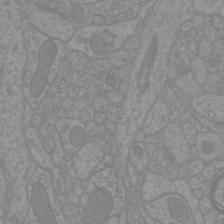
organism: Mouse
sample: Cortical neurons